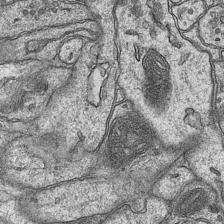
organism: Mouse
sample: CA1 Hippocampus